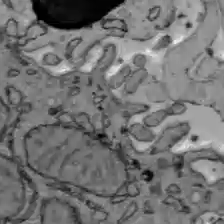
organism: C57BL Mouse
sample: Liver